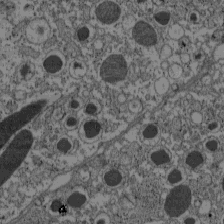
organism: C57BL Mouse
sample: Pancreatic islet